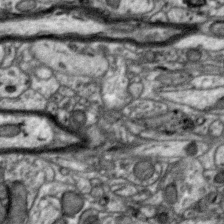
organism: Zebra finch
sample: Brain